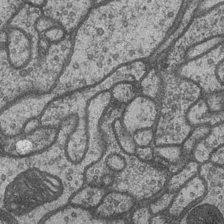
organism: Drosophila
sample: Optic medulla